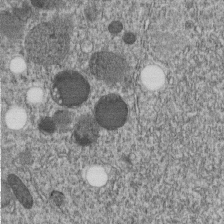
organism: C. elegans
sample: C. elegans embryo early stage